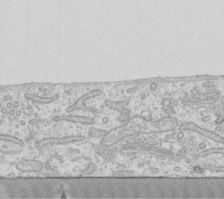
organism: Human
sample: Fibroblast cells